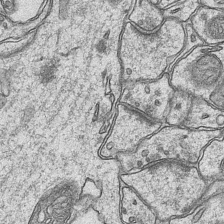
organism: Mouse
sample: CA1 Hippocampus